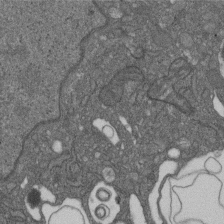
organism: Drosophila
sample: Nephrocyte